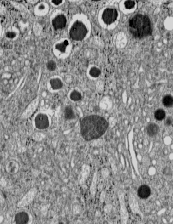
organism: C57BL Mouse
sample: Pancreatic islet